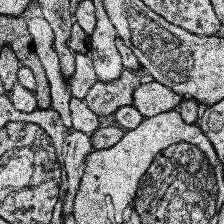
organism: Human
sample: Temporal Lobe